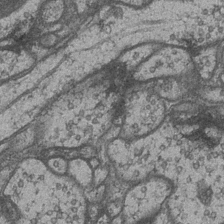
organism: Drosophila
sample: Optic medulla